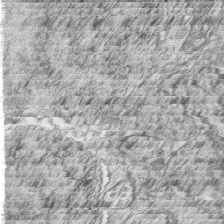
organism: Zebrafish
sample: synaptic ribbons in rod cells and cone cells